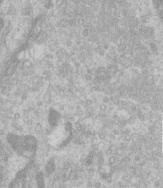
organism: Human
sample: Centriole in RPE cells